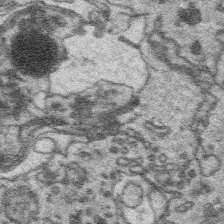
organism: Platynereis dumerilii